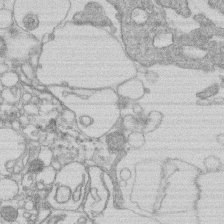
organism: Human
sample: Macrophage cells